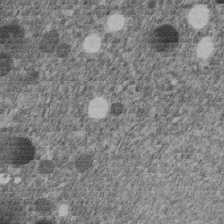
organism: C. elegans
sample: C. elegans embryo early stage